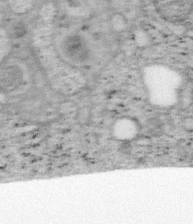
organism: Mouse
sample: OT-I killer T cells with ID8 ovarian cancer cells